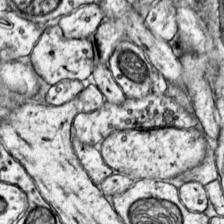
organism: Mouse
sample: Primary visual cortex